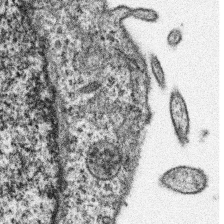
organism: Human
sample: HeLa cells